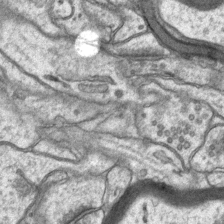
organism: Mouse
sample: CA1 Hippocampus